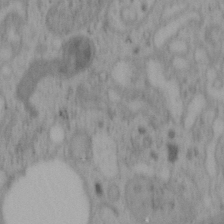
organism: Mouse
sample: OT-I killer T cells with ID8 ovarian cancer cells